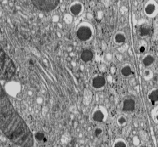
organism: C57BL Mouse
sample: Pancreatic islet